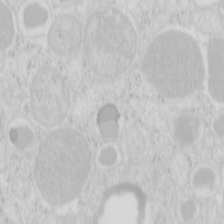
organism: Mouse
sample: Pancreas